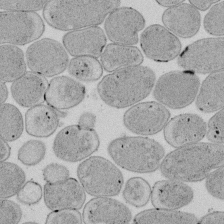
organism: E. coli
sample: Bacterial nucleoid